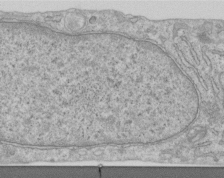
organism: Human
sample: Centriole in RPE cells